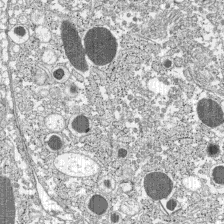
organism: C57BL Mouse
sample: Pancreatic islet